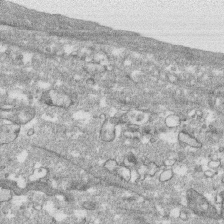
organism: Human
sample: CRL-1474